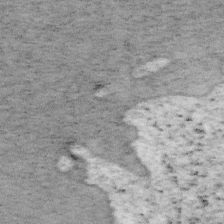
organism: Mouse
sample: OT-I killer T cells with ID8 ovarian cancer cells